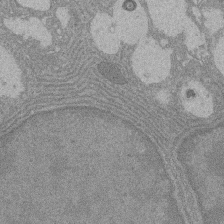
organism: Rat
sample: Salivary granule